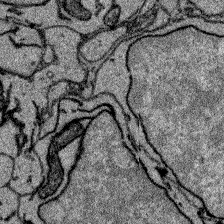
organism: Zebrafish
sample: Larval olfactory bulb